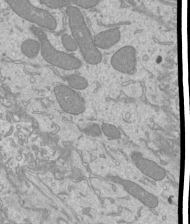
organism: Mouse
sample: Cilia; mouse epididymis